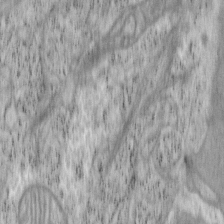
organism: Human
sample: HeLa cells